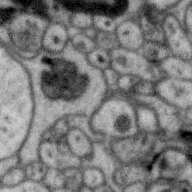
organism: Zebra finch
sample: Brain